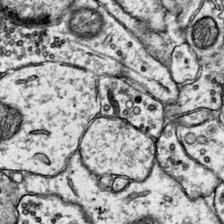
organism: Mouse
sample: Primary visual cortex